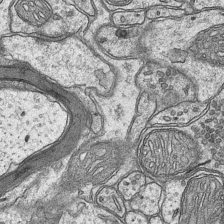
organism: Mouse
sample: CA1 Hippocampus